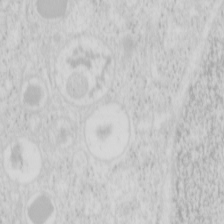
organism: Mouse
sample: Pancreas